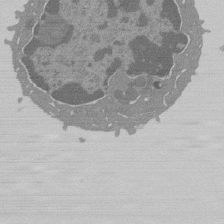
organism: Mouse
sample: Activated Pmel transgenic CD8+ T Cells